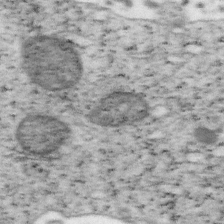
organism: Mouse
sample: OT-I killer T cells with ID8 ovarian cancer cells